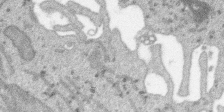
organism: Human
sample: Lung epithelial cells infected with SARS-CoV-2